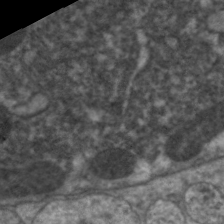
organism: C. elegans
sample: Pharynx